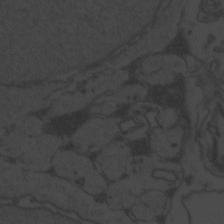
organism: Zebrafish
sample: Macrophage infected with Toxoplasma gondii